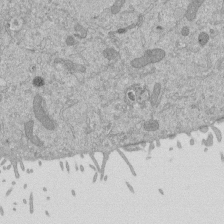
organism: Mouse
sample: ED-1 cell nuclei; centrioles